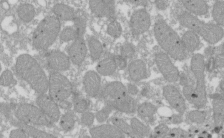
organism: Xenopus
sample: Cilia; centrioles in frog embryo cells